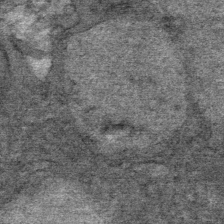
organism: Mouse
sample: Mouse Salivary gland